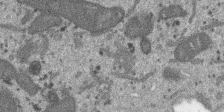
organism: Human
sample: Lung epithelial cells infected with SARS-CoV-2